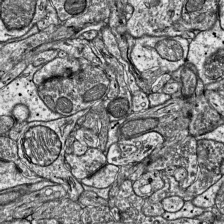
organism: Mouse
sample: Visual Cortex